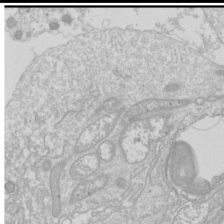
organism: Drosophila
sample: Cell division; meiosis; drosophila spermatocytes